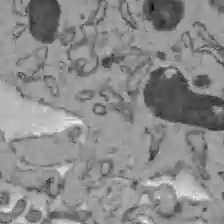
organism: C57BL Mouse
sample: Liver